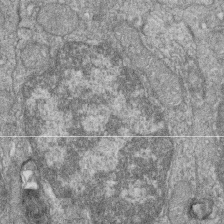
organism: Zebrafish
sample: Cilia; retinal pigment epithelium